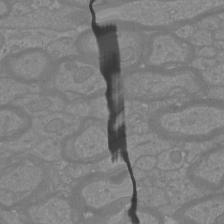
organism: Mouse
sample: Cortical neurons